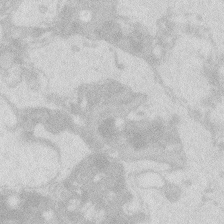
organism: Zebrafish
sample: Macrophage